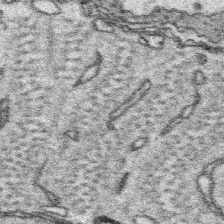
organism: Platynereis dumerilii